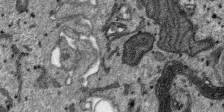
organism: Human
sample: Lung epithelial cells, uninfected (mock) control